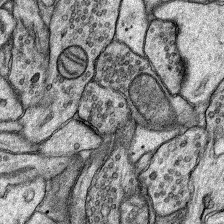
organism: Rat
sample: Hippocampus